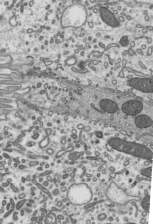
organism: Mouse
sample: Mouse epididymis efferent ductule cilia